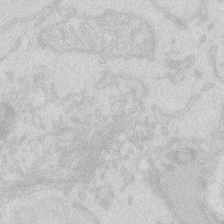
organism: Zebrafish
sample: Macrophage